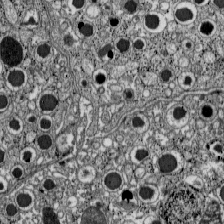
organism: C57BL Mouse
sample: Pancreatic islet